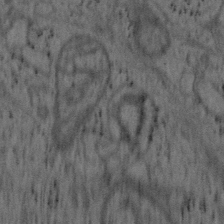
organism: Human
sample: HeLa cells